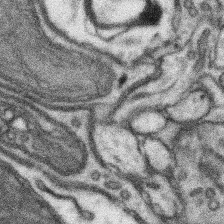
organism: Mouse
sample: Somatosensory cortex neuropil